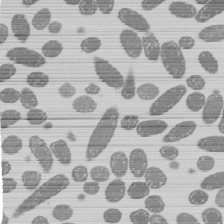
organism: E. coli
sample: Bacterial nucleoid